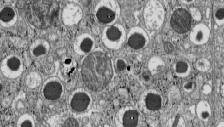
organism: C57BL Mouse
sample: Pancreatic islet